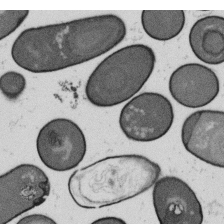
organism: B. subtilis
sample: Bacterial spore